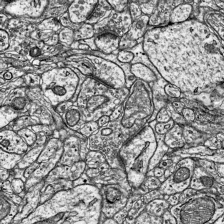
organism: Mouse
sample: Visual Cortex